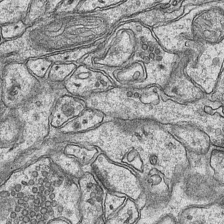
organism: Mouse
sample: CA1 Hippocampus